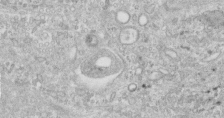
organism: Human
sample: Centriole in fibroblast cells